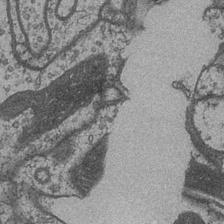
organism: Drosophila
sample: Optic medulla